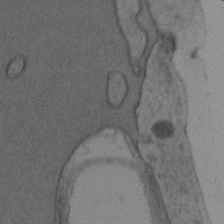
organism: Human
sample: HeLa cells